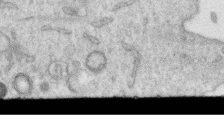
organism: Human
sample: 1205lu cells